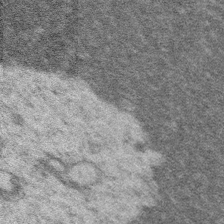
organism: Platynereis dumerilii